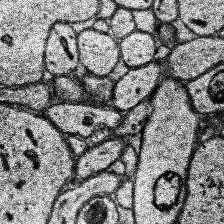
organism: Human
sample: Temporal Lobe